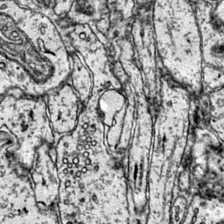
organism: Mouse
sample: Primary visual cortex